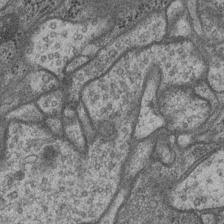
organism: Drosophila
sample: Optic medulla